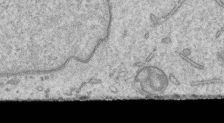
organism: Human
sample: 1205lu cells